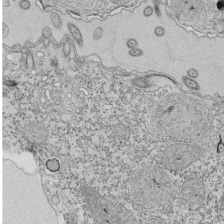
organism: Tetrahymena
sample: Cilia in tetrahymena